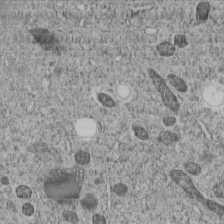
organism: C. elegans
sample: C. elegans embryo early stage